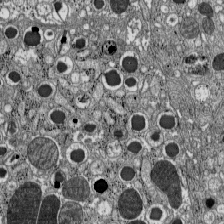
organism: C57BL Mouse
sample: Pancreatic islet